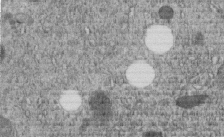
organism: C. elegans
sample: C. elegans embryo early stage